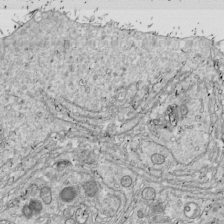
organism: Drosophila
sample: Cell division; meiosis; drosophila spermatocytes